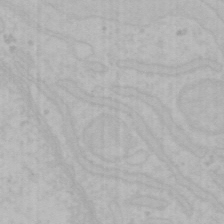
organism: Mouse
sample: Choroid plexus